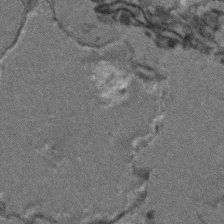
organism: Zebrafish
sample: Zebrafish embryo